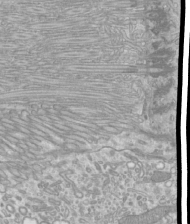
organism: Mouse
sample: Cilia; mouse epididymis